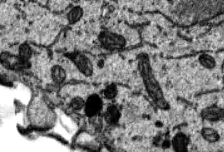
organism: Human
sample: HeLa cells